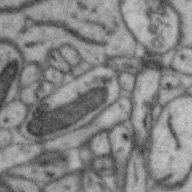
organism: Zebra finch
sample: Brain